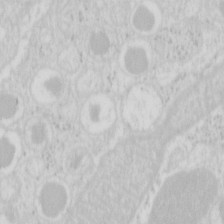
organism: Mouse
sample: Pancreas